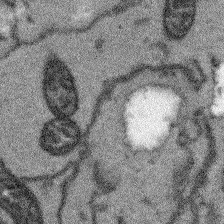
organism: Arabidopsis thaliana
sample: Root tip